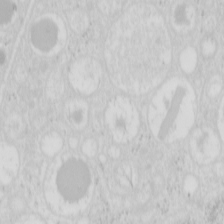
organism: Mouse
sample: Pancreas